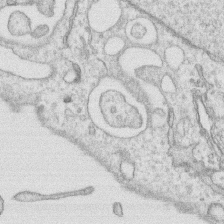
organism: Human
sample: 1205lu cells